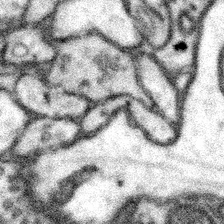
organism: Mouse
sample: Somatosensory cortex neuropil